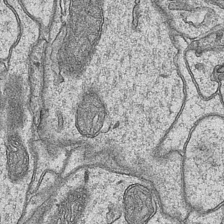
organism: Mouse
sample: CA1 Hippocampus